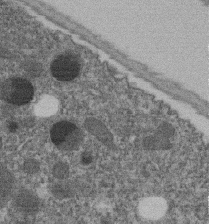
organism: C. elegans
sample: C. elegans embryo early stage